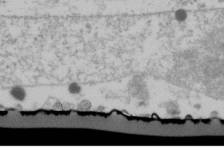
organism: Human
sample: U2-OS cells